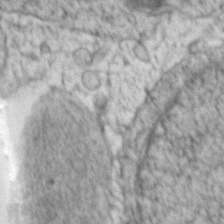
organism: Zebrafish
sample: Zebrafish embryo